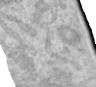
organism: Human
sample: Centriole in RPE cells